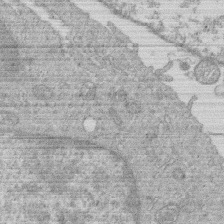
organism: Human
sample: Macrophage cells